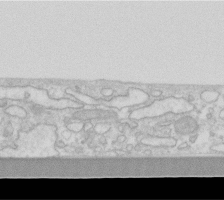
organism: Human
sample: Fibroblast cells